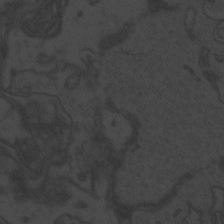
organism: Zebrafish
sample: Macrophage infected with Toxoplasma gondii